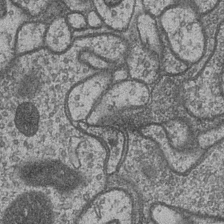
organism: Drosophila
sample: Optic medulla